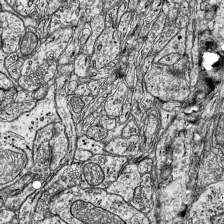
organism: Mouse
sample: Visual Cortex